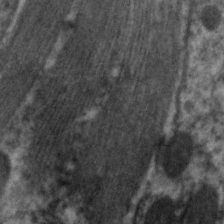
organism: C. elegans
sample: Pharynx